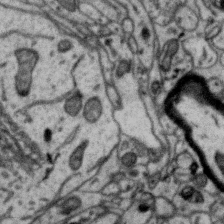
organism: Zebra finch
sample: Brain